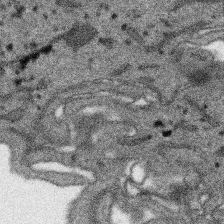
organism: Human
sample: Lung epithelial cells infected with SARS-CoV-2